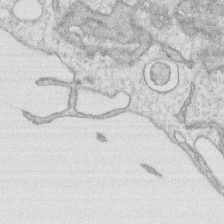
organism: Human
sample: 1205lu cells